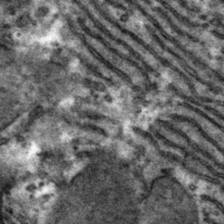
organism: Mouse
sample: Mouse hepatocytes